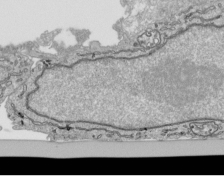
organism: Human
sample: Mitochondria in HCT116 cells